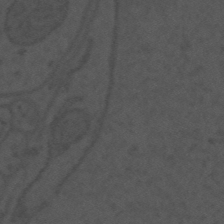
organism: Mouse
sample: Suprachiasmatic nucleus